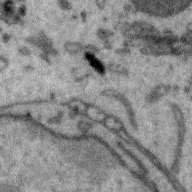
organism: Zebra finch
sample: Brain